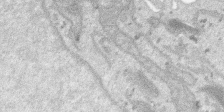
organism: Human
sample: Lung epithelial cells infected with SARS-CoV-2